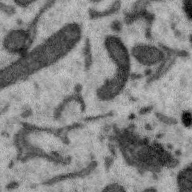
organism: Zebra finch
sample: Brain